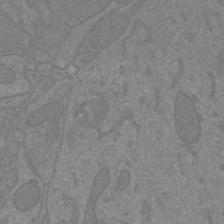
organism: Mouse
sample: Cortical neurons